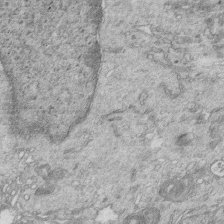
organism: Mouse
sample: Multiciliated cells